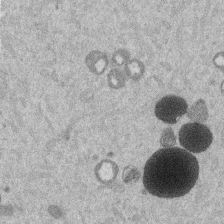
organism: Mouse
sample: Dividing mouse embryo 1 cell stage